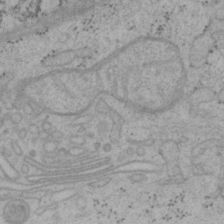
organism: Human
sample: HeLa cells